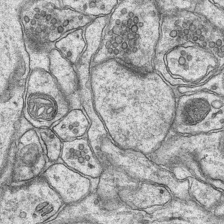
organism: Mouse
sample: CA1 Hippocampus